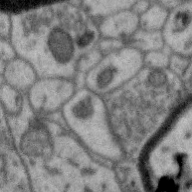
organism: Zebra finch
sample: Brain